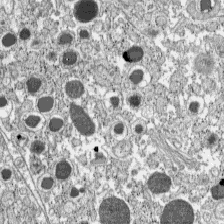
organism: C57BL Mouse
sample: Pancreatic islet